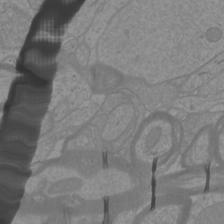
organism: Mouse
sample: Cortical neurons